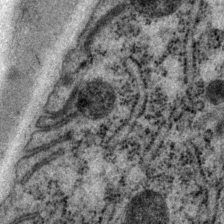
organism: P. pacificus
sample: Pharynx